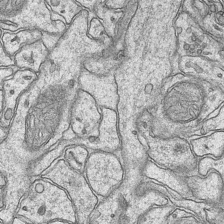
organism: Mouse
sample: CA1 Hippocampus